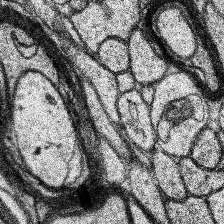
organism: Human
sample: Temporal Lobe